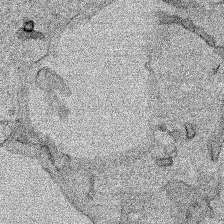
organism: Human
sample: Mitochondria in HCT116 cells